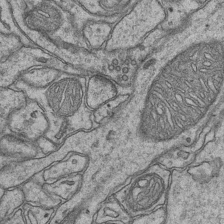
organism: Mouse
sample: CA1 Hippocampus